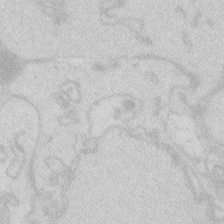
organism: Zebrafish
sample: Macrophage